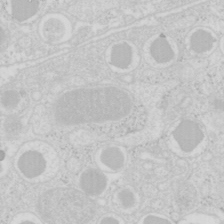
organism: Mouse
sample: Pancreas